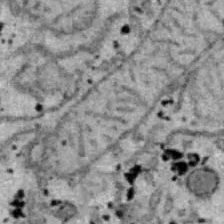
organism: Mouse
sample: Liver from an obese (ob/ob) mouse